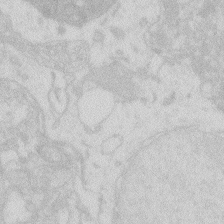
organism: Zebrafish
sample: Macrophage